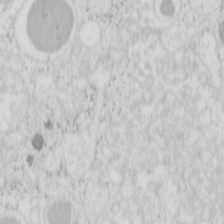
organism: Mouse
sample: Pancreas